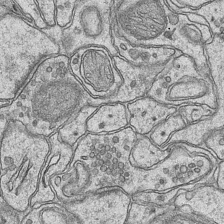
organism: Mouse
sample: CA1 Hippocampus